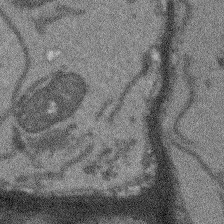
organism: Arabidopsis thaliana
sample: Root tip